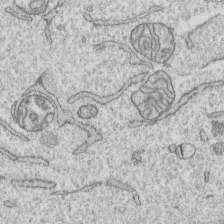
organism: Human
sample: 1205lu cells